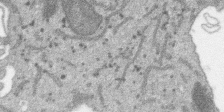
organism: Human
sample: Lung epithelial cells infected with SARS-CoV-2